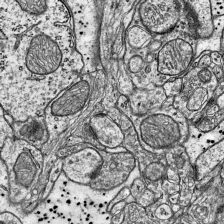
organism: Mouse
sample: Visual Cortex